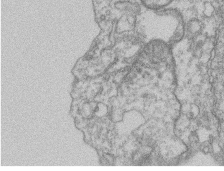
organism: Mouse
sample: T cell stromal cell synapse